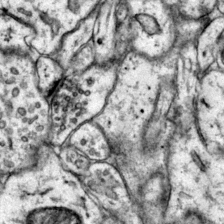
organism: Mouse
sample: Primary visual cortex